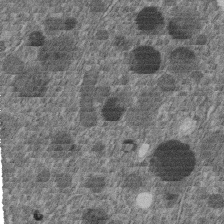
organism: C. elegans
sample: C. elegans embryo early stage